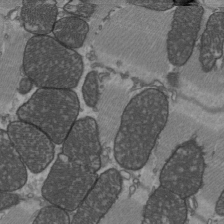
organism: C57BL Mouse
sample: Heart